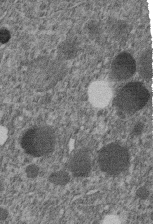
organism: C. elegans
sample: C. elegans embryo early stage